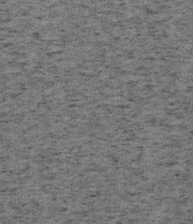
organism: Mouse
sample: OT-I killer T cells with ID8 ovarian cancer cells